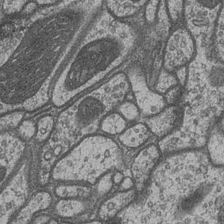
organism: Drosophila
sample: Optic medulla